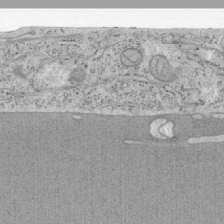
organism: Human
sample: HeLa cells